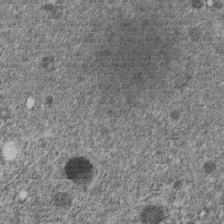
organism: C. elegans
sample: C. elegans embryo early stage